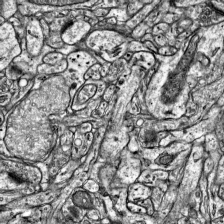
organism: Mouse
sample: Visual Cortex